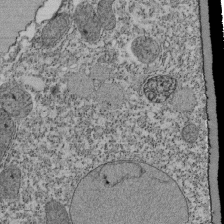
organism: Tetrahymena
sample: Cilia in tetrahymena